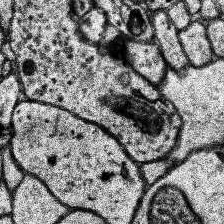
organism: Human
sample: Temporal Lobe